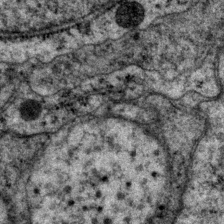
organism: P. pacificus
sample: Pharynx